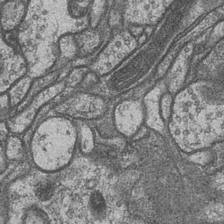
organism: Drosophila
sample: Optic medulla